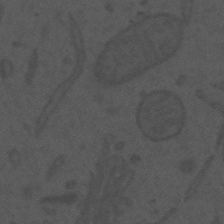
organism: Mouse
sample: Suprachiasmatic nucleus